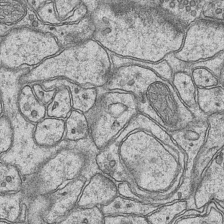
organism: Mouse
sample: CA1 Hippocampus